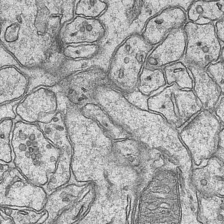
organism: Mouse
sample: CA1 Hippocampus